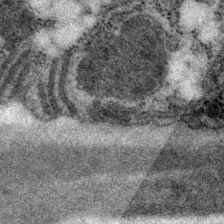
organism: P. pacificus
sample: Pharynx